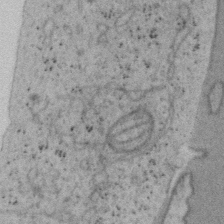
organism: Human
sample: HeLa cells